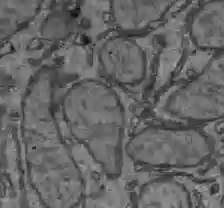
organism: C57BL Mouse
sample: Liver